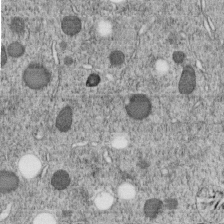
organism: C. elegans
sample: C. elegans embryo early stage